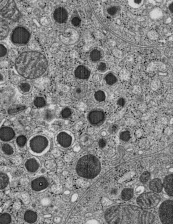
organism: C57BL Mouse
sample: Pancreatic islet